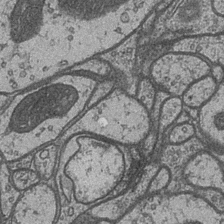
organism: Drosophila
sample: Optic medulla